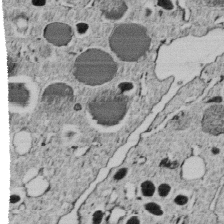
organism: C. elegans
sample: C. elegans embryo early stage